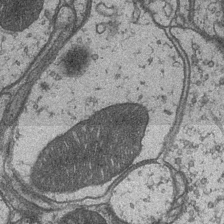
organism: Drosophila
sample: Optic medulla